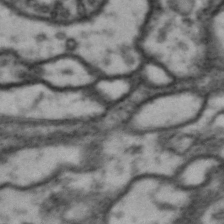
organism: Drosophila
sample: Brain